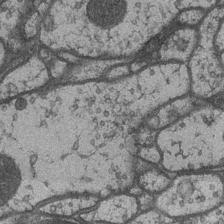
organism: Drosophila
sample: Optic medulla